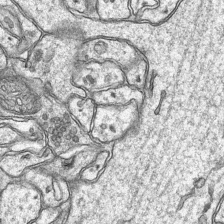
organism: Mouse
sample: CA1 Hippocampus